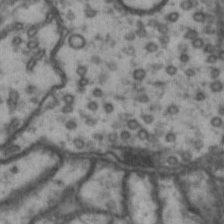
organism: Drosophila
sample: Brain